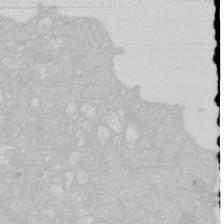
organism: Human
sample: HIV infected U937 cells